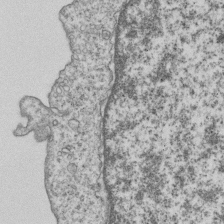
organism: Human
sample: MDA-MB-231 cells